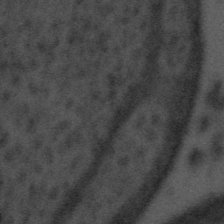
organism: Tuwongella immobilis